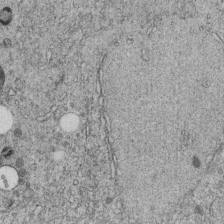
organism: C. elegans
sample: C. elegans embryo early stage